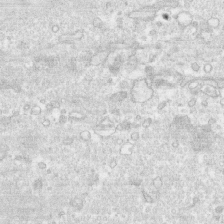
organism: Human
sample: CRL-1474